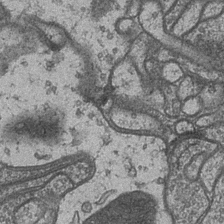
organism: Drosophila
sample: Optic medulla